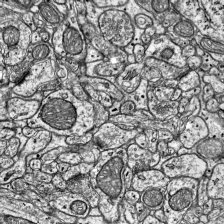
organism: Mouse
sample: Visual Cortex